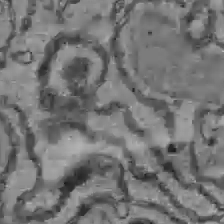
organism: C57BL Mouse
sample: Liver